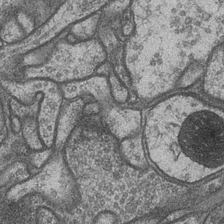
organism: Drosophila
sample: Optic medulla